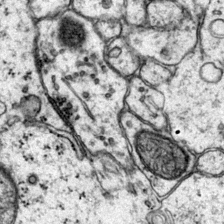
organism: Mouse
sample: Primary visual cortex